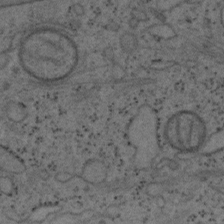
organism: Human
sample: HeLa cells